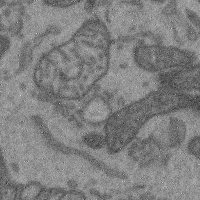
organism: Mouse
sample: Cerebral cortex